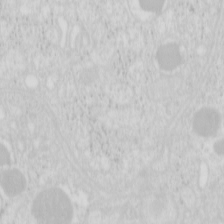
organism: Mouse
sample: Pancreas